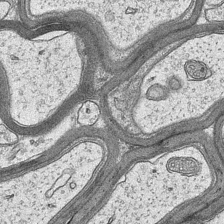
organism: Mouse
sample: CA1 Hippocampus